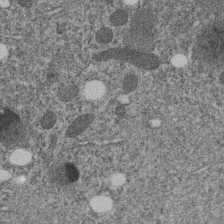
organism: C. elegans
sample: C. elegans embryo early stage